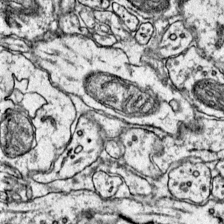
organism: Mouse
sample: Primary visual cortex